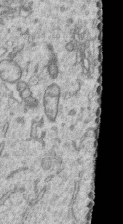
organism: Human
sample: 1205lu cells